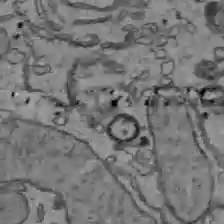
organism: C57BL Mouse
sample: Liver